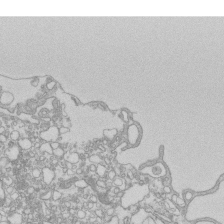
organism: Mouse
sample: Macrophages